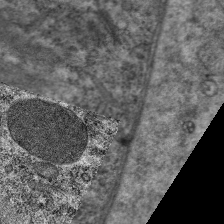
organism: C. elegans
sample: Pharynx